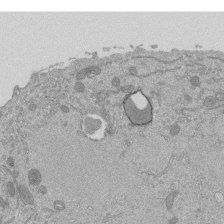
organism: Mouse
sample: ED-1 cell nuclei; centrioles